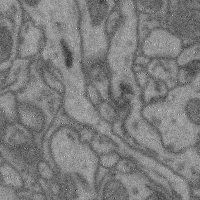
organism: Mouse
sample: Cerebral cortex